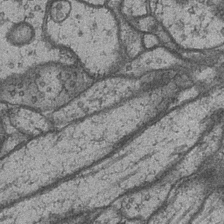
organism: Drosophila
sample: Optic medulla